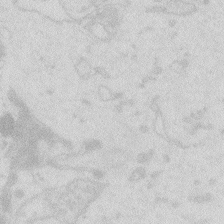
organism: Zebrafish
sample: Macrophage